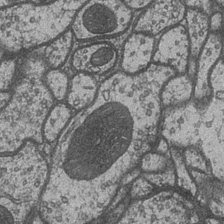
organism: Drosophila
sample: Optic medulla